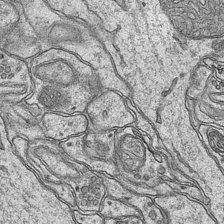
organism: Mouse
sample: CA1 Hippocampus